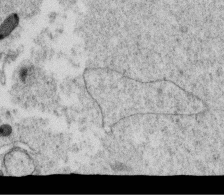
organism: C. elegans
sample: C. elegans oocyte; sperm cells